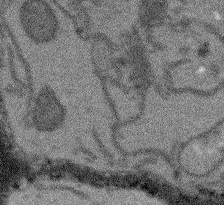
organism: Arabidopsis thaliana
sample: Root tip